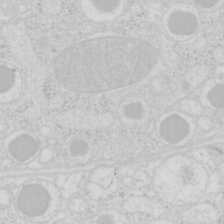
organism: Mouse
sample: Pancreas